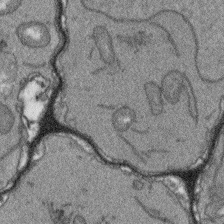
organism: Arabidopsis thaliana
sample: Root tip